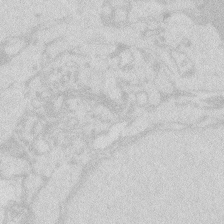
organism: Zebrafish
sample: Macrophage